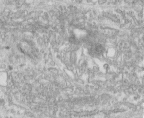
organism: Human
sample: Centriole in fibroblast cells